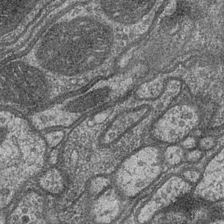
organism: Drosophila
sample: Optic medulla